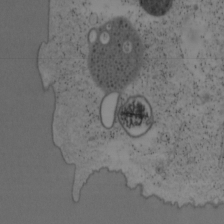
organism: Mouse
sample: OT-I killer T cells with ID8 ovarian cancer cells